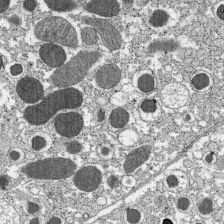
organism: C57BL Mouse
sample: Pancreatic islet